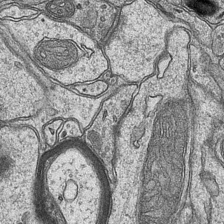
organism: Mouse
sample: CA1 Hippocampus